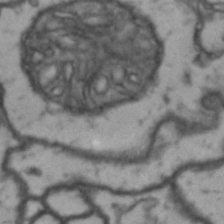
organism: Drosophila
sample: Brain